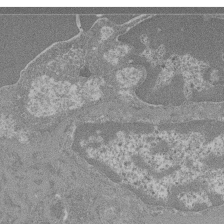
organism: Mouse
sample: Glomerulus